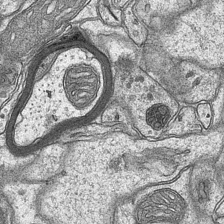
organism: Mouse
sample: CA1 Hippocampus